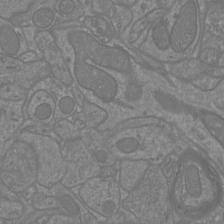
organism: Mouse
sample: Cortical neurons